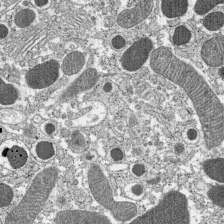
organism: C57BL Mouse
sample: Pancreatic islet